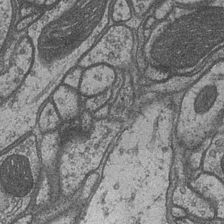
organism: Drosophila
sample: Optic medulla